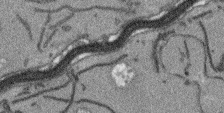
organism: Arabidopsis thaliana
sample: Root tip